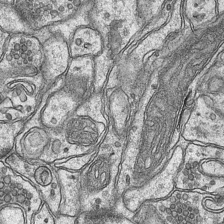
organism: Mouse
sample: CA1 Hippocampus